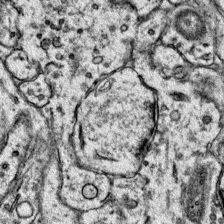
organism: Mouse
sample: Primary visual cortex